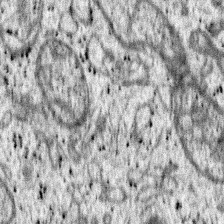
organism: Human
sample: HeLa cells